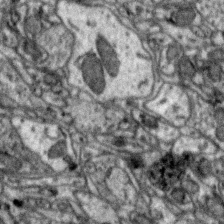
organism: Zebra finch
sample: Brain